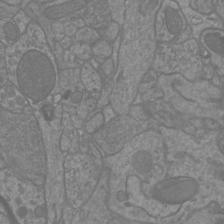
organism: Mouse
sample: Cortical neurons